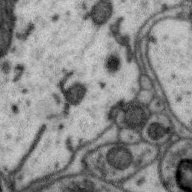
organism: Zebra finch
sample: Brain